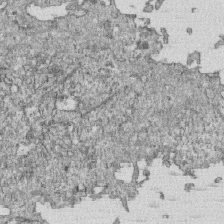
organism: Human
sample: HeLa cell HIV synapse